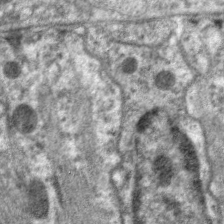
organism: C. elegans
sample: Pharynx